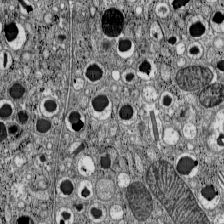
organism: C57BL Mouse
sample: Pancreatic islet